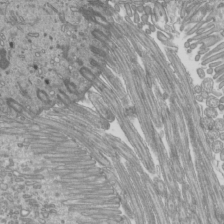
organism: Mouse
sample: Cilia; mouse epididymis